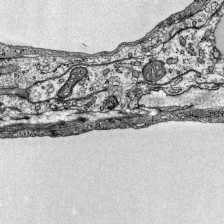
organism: Mouse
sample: Visual Cortex